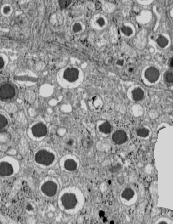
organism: C57BL Mouse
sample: Pancreatic islet